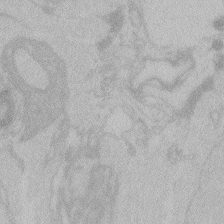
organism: Zebrafish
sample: Macrophage infected with Toxoplasma gondii